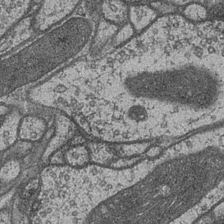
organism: Drosophila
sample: Optic medulla